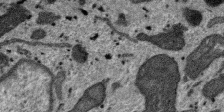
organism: Human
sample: Lung epithelial cells, uninfected (mock) control